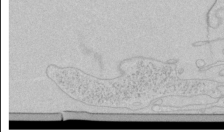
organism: Human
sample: Mitochondria in HCT116 cells